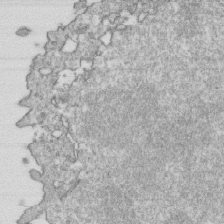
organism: Mouse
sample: Activated OT-1 CD8+ T cells